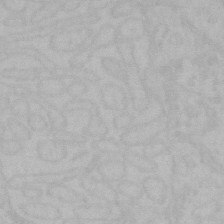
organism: Mouse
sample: Choroid plexus